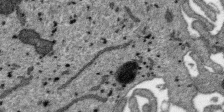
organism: Human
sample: Lung epithelial cells, uninfected (mock) control